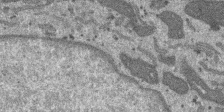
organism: Human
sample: Lung epithelial cells infected with SARS-CoV-2